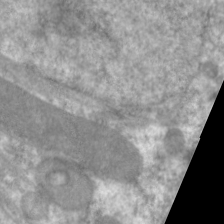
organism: C. elegans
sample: Pharynx